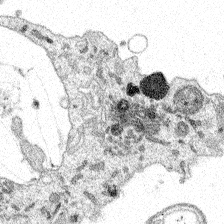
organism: Spongilla lacustris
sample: Multiple